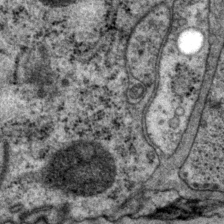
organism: P. pacificus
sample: Pharynx